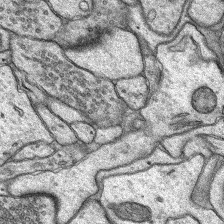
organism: Rat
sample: Hippocampus